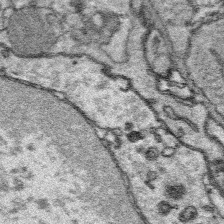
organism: Platynereis dumerilii